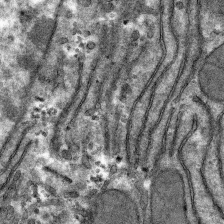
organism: Mouse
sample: Mouse hepatocytes